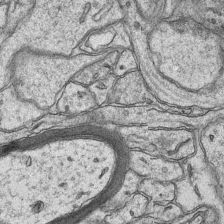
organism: Mouse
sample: CA1 Hippocampus